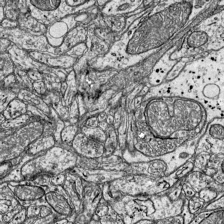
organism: Mouse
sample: Visual Cortex